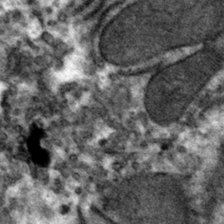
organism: Mouse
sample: Mouse hepatocytes